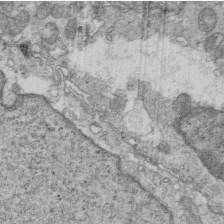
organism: Mouse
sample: Multiciliated cells